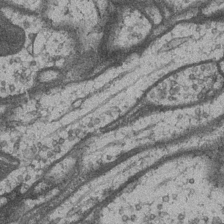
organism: Drosophila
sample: Optic medulla